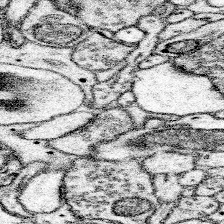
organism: Mouse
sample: Somatosensory cortex neuropil